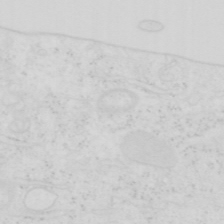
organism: Human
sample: SUM-159 cell